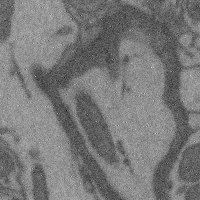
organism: Mouse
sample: Cerebral cortex